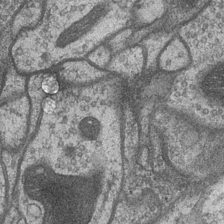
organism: Drosophila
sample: Optic medulla